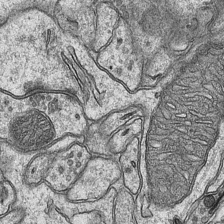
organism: Mouse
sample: CA1 Hippocampus